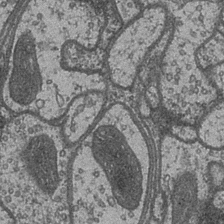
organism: Drosophila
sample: Optic medulla